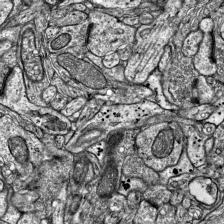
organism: Mouse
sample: Visual Cortex